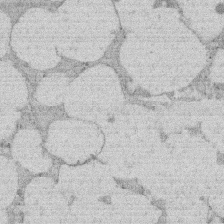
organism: Rat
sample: Salivary granule